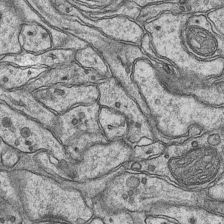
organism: Mouse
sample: CA1 Hippocampus